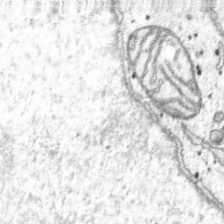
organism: Human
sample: HeLa cells